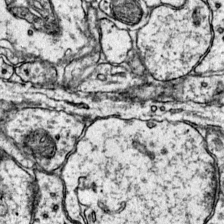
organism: Mouse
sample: Primary visual cortex